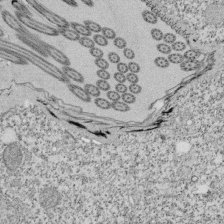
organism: Tetrahymena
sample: Cilia in tetrahymena